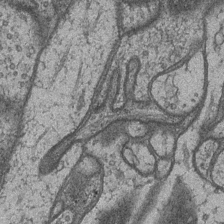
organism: Drosophila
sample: Optic medulla